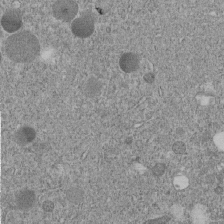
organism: C. elegans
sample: C. elegans embryo early stage